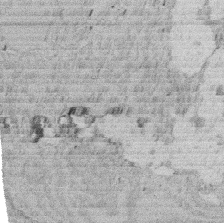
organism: Rat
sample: Salivary granule